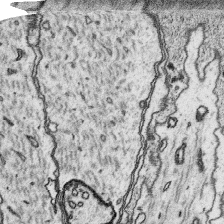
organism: Platynereis dumerilii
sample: Parapodia